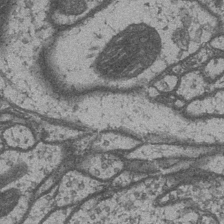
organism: Drosophila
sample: Optic medulla